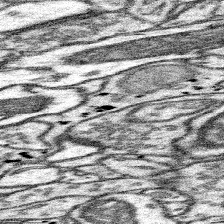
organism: Mouse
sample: Somatosensory cortex neuropil